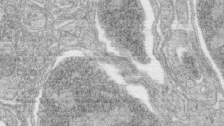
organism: Zebrafish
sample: synaptic ribbons in rod cells and cone cells